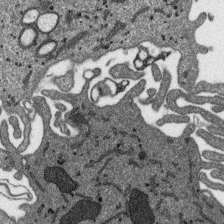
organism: Human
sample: Lung epithelial cells infected with SARS-CoV-2